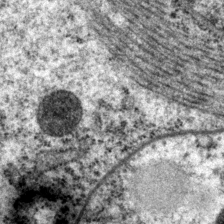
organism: P. pacificus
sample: Pharynx